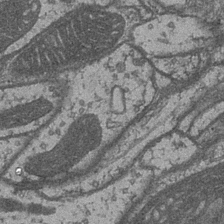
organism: Drosophila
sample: Optic medulla